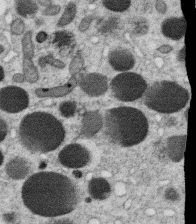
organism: C. elegans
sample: C. elegans oocyte; sperm cells